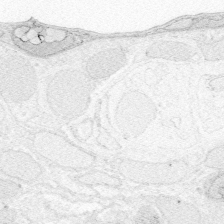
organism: Zebrafish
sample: Whole-Brain